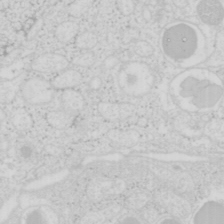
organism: Mouse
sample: Pancreas